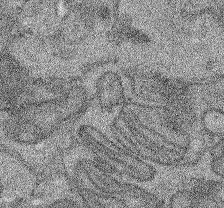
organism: Human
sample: HeLa cells